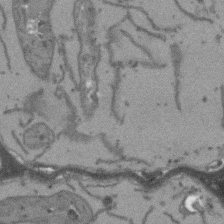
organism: Arabidopsis thaliana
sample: Root tip